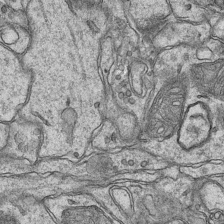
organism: Mouse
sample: CA1 Hippocampus